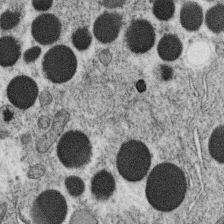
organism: C. elegans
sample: C. elegans oocyte; sperm cells